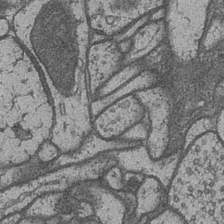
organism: Drosophila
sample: Optic medulla